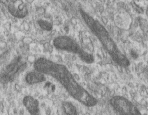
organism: Human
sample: Centriole in RPE cells